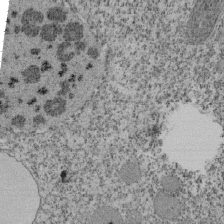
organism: Tetrahymena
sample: Cilia in tetrahymena